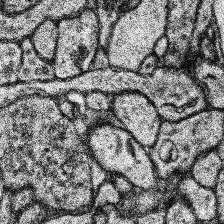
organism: Human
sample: Temporal Lobe